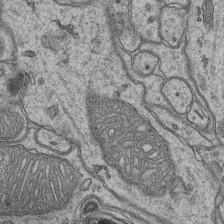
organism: Mouse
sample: CA1 Hippocampus